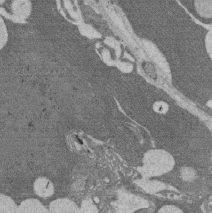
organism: Rat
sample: Salivary granule